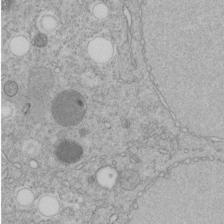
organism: C. elegans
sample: C. elegans embryo early stage